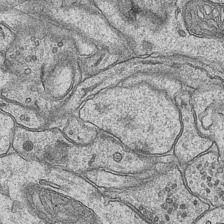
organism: Mouse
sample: CA1 Hippocampus